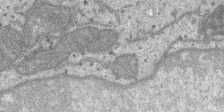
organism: Human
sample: Lung epithelial cells infected with SARS-CoV-2